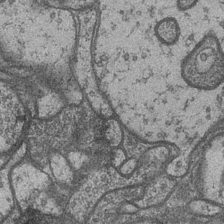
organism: Drosophila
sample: Optic medulla